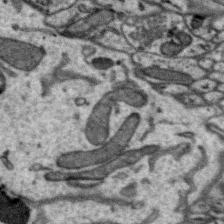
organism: Zebra finch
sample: Brain